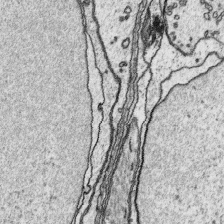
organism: Platynereis dumerilii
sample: Parapodia